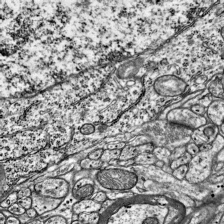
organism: Mouse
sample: Visual Cortex